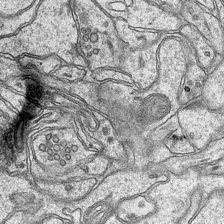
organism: Mouse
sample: CA1 Hippocampus